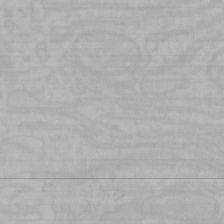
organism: Mouse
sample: Choroid plexus